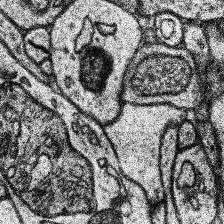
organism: Human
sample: Temporal Lobe